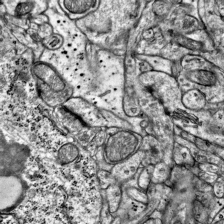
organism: Mouse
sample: Visual Cortex